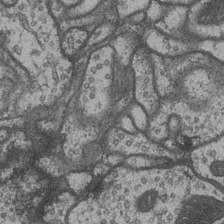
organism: Drosophila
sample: Optic medulla